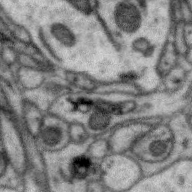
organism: Zebra finch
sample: Brain